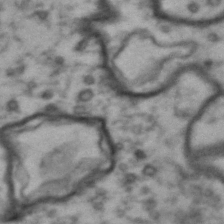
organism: Drosophila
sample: Brain